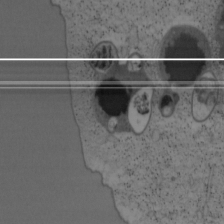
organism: Mouse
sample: OT-I killer T cells with ID8 ovarian cancer cells